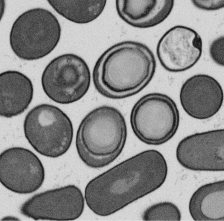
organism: B. subtilis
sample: Bacterial spore